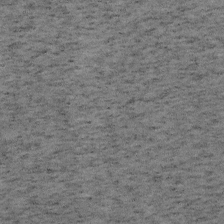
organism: Mouse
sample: OT-I killer T cells with ID8 ovarian cancer cells